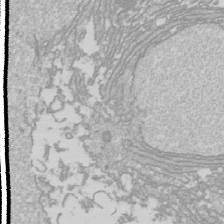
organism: Drosophila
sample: Cell division; meiosis; drosophila spermatocytes